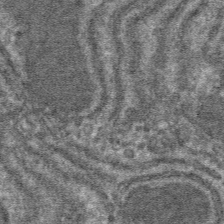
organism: Mouse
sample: Mouse hepatocytes